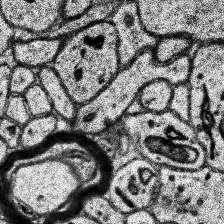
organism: Human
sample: Temporal Lobe